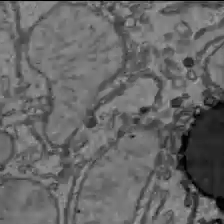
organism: C57BL Mouse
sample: Liver